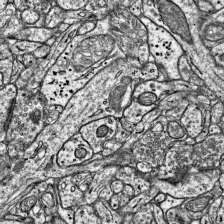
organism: Mouse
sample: Visual Cortex